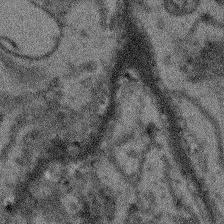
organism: Arabidopsis thaliana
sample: Root tip